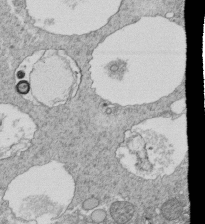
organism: Tetrahymena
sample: Cilia in tetrahymena